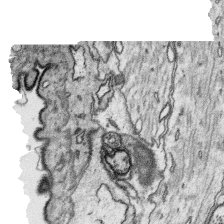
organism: Platynereis dumerilii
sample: Parapodia